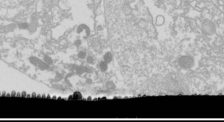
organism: Drosophila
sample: Cell division; meiosis; drosophila spermatocytes